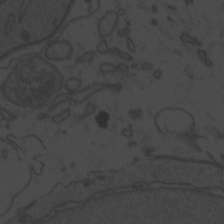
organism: Zebrafish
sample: Macrophage infected with Toxoplasma gondii